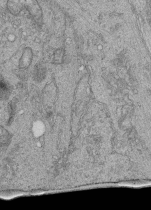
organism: Human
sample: Retinal organoid Rod and Cone cells